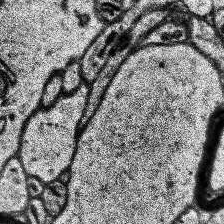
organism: Human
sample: Temporal Lobe